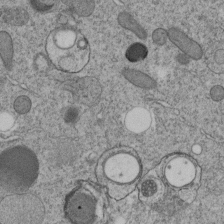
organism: C. elegans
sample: C. elegans embryo early stage